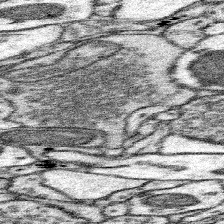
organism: Mouse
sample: Somatosensory cortex neuropil